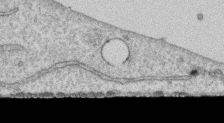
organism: Human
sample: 1205lu cells